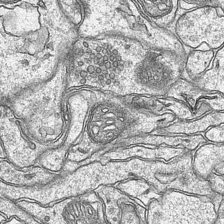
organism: Mouse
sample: CA1 Hippocampus